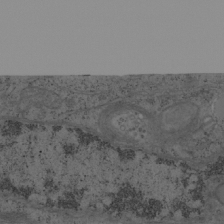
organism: Human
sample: HeLa cells